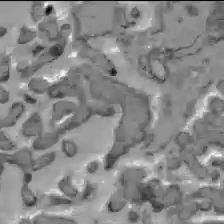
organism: C57BL Mouse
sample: Liver